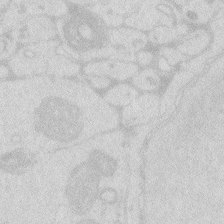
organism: Zebrafish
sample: Macrophage